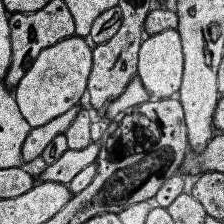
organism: Human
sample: Temporal Lobe